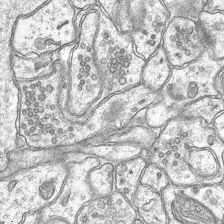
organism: Mouse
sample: CA1 Hippocampus